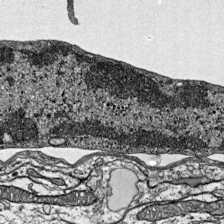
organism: Mouse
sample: Visual Cortex